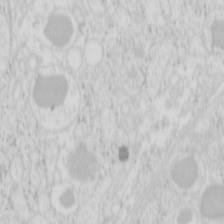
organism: Mouse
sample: Pancreas